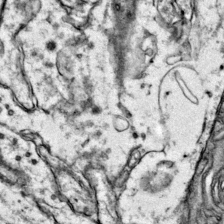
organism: Mouse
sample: Primary visual cortex